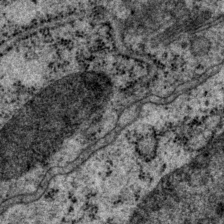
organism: P. pacificus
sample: Pharynx